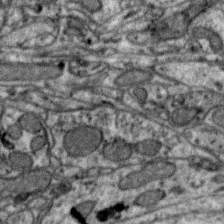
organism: Zebra finch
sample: Brain